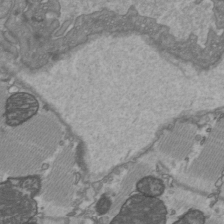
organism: C57BL Mouse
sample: Heart